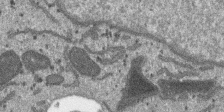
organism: Human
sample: Lung epithelial cells infected with SARS-CoV-2